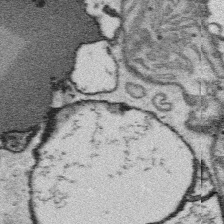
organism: Platynereis dumerilii